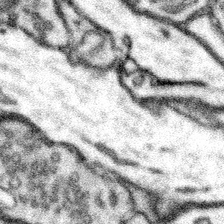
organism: Mouse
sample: Somatosensory cortex neuropil